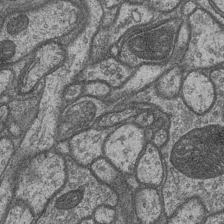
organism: Drosophila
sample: Optic medulla